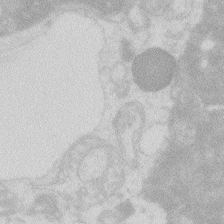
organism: Zebrafish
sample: Macrophage